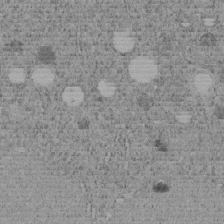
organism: C. elegans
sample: C. elegans embryo early stage